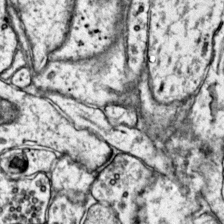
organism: Mouse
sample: Primary visual cortex